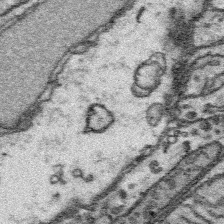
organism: Platynereis dumerilii